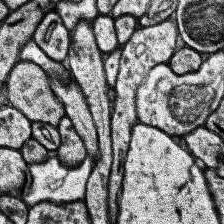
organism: Human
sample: Temporal Lobe